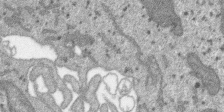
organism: Human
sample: Lung epithelial cells infected with SARS-CoV-2